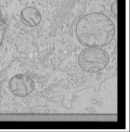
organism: Human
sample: Mitochondria in HCT116 cells